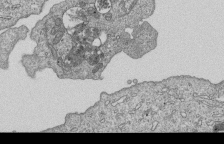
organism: Human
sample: MDA-MB-231 cells